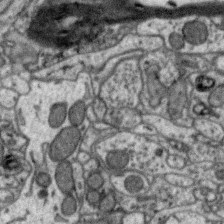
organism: Zebra finch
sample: Brain